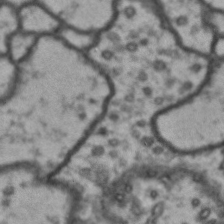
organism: Drosophila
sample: Brain